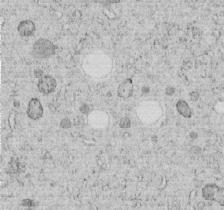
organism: C. elegans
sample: C. elegans embryo early stage